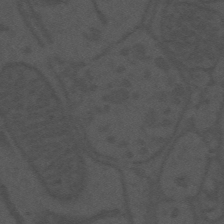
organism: Mouse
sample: Suprachiasmatic nucleus